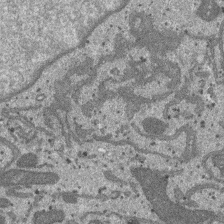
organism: Human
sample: Lung epithelial cells infected with SARS-CoV-2